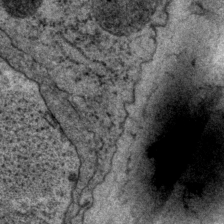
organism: P. pacificus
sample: Pharynx